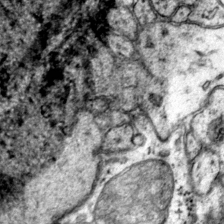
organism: Mouse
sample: Primary visual cortex